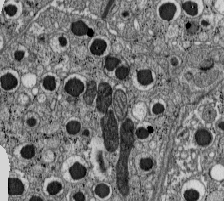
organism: C57BL Mouse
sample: Pancreatic islet